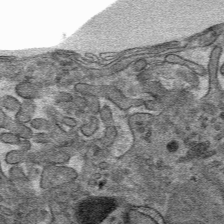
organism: Mouse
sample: Mouse hepatocytes